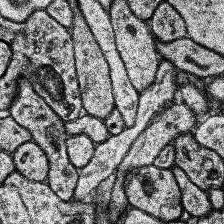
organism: Human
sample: Temporal Lobe